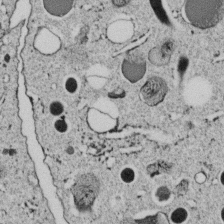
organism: C. elegans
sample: C. elegans embryo early stage